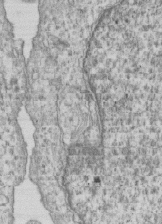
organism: Human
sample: MDA-MB-231 cells